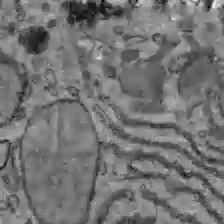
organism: C57BL Mouse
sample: Liver